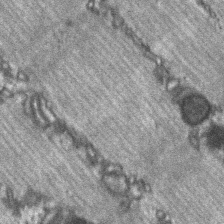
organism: C57BL Mouse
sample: Soleus